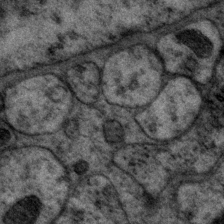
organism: P. pacificus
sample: Pharynx